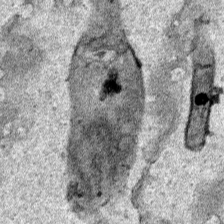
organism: Human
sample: Mitochondria in HCT116 cells